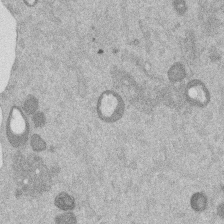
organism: Mouse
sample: Dividing mouse embryo 1 cell stage